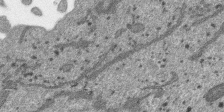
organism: Human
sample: Lung epithelial cells infected with SARS-CoV-2